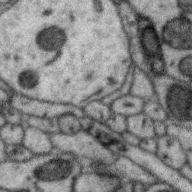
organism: Zebra finch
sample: Brain